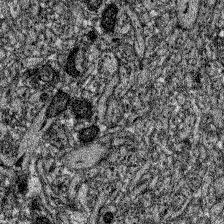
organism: Zebrafish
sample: Larval olfactory bulb